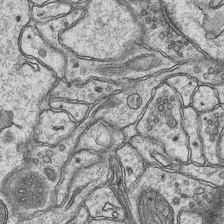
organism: Mouse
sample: CA1 Hippocampus